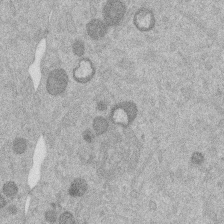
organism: Mouse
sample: Dividing mouse embryo 1 cell stage